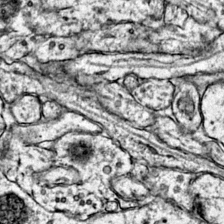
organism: Mouse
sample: Primary visual cortex